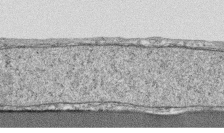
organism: Human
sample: CRL-1474